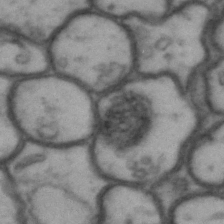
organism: Drosophila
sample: Brain